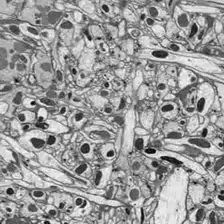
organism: Drosophila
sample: Optic lobe